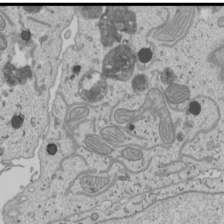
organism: Human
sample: Mitochondria in U2OS cells